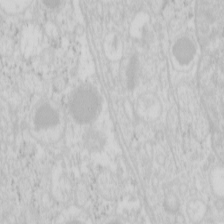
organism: Mouse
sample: Pancreas